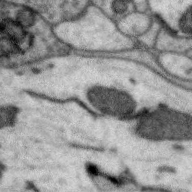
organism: Zebra finch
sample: Brain